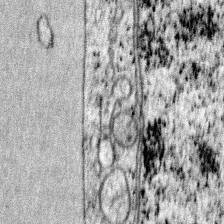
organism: Human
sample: HeLa cells